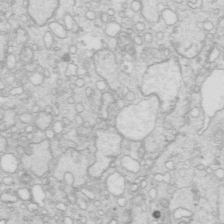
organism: Mouse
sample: Multiciliated cells